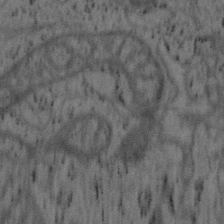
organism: Human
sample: HeLa cells